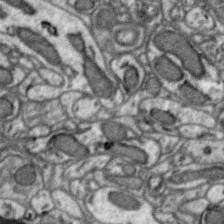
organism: Zebra finch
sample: Brain